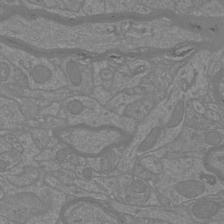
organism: Mouse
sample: Cortical neurons